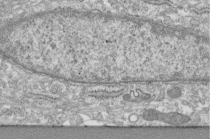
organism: Human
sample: Centriole in fibroblast cells